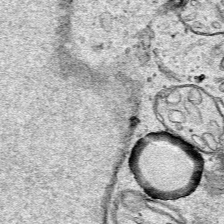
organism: Human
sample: Mitochondria in HCT116 cells